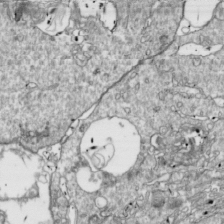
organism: Drosophila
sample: Cell division; meiosis; drosophila spermatocytes